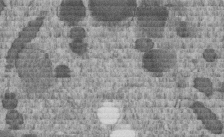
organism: C. elegans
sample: C. elegans embryo early stage